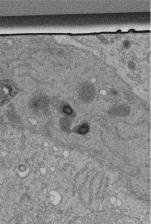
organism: Human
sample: Retinal organoid Rod and Cone cells